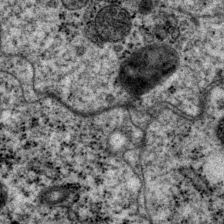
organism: P. pacificus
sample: Pharynx